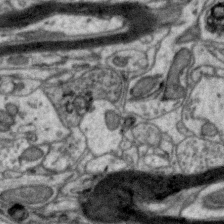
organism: Zebra finch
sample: Brain